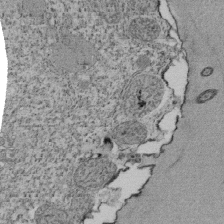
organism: Tetrahymena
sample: Cilia in tetrahymena